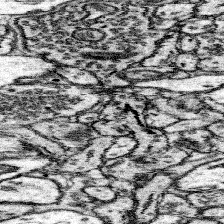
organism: Mouse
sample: Somatosensory cortex neuropil